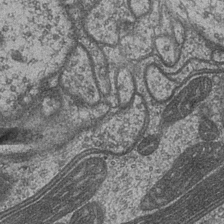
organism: Drosophila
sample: Optic medulla